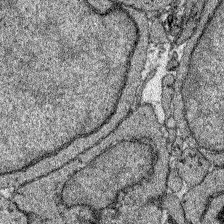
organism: Zebrafish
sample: Larval olfactory bulb